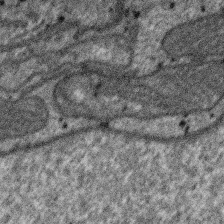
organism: Human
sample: Lung epithelial cells infected with SARS-CoV-2